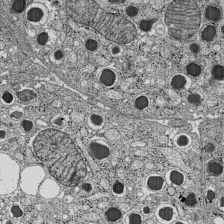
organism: C57BL Mouse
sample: Pancreatic islet